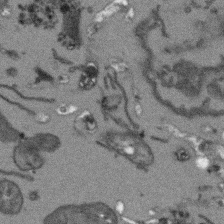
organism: Arabidopsis thaliana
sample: Root tip